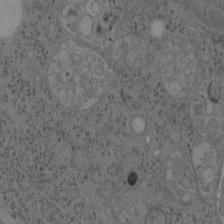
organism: Mouse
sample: OT-I killer T cells with ID8 ovarian cancer cells